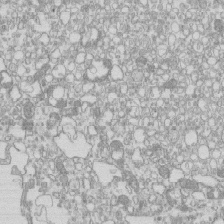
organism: Mouse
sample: Macrophages